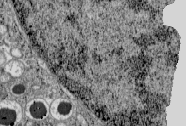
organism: C57BL Mouse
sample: Pancreatic islet